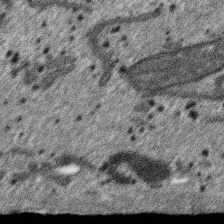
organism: Human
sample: Lung epithelial cells infected with SARS-CoV-2